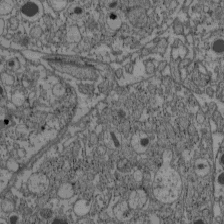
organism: C57BL Mouse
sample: Pancreatic islet